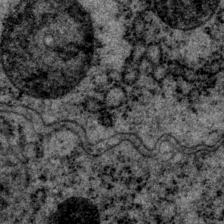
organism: P. pacificus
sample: Pharynx